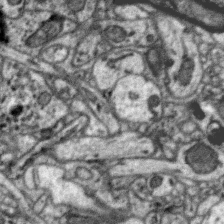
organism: Zebra finch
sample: Brain